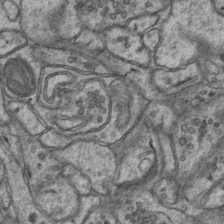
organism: Mouse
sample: CA1 Hippocampus